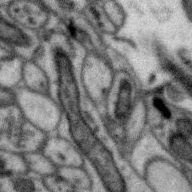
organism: Zebra finch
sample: Brain